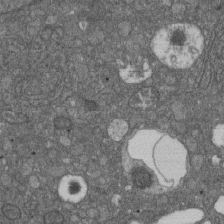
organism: Drosophila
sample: Nephrocyte